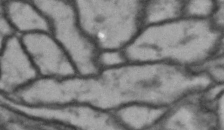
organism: Drosophila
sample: Brain